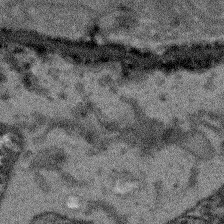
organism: Arabidopsis thaliana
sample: Root tip